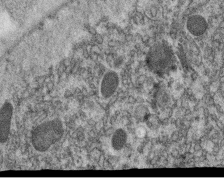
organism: C. elegans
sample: C. elegans oocyte; sperm cells